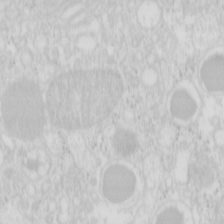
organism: Mouse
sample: Pancreas